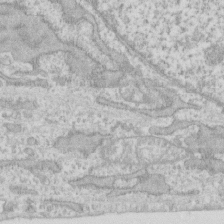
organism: Human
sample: Fibroblast cells